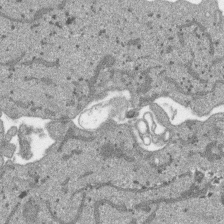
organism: Human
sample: Lung epithelial cells infected with SARS-CoV-2